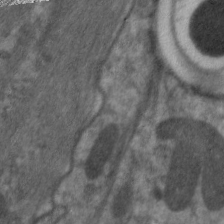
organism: C. elegans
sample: Pharynx